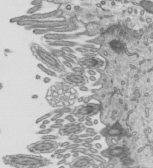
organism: Mouse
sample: Mouse epididymis efferent ductule cilia